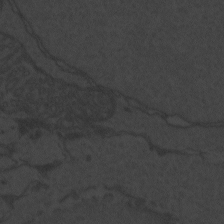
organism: Zebrafish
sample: Macrophage infected with Toxoplasma gondii